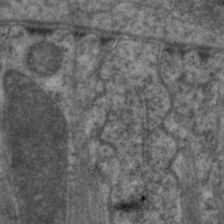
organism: C. elegans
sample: Pharynx